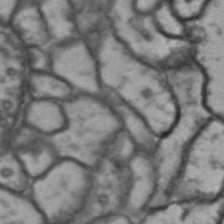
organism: Drosophila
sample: Brain